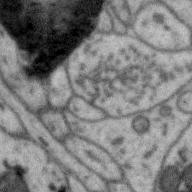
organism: Zebra finch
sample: Brain